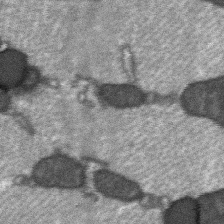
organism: C57BL Mouse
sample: Soleus